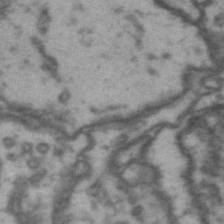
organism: Drosophila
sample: Brain